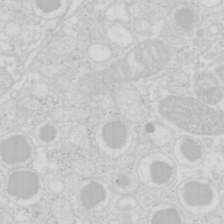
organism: Mouse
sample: Pancreas